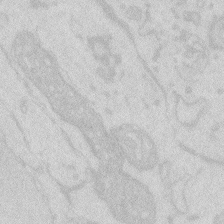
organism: Zebrafish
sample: Macrophage